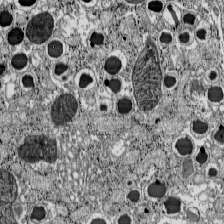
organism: C57BL Mouse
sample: Pancreatic islet